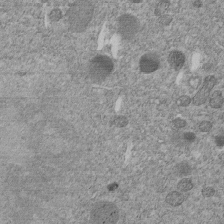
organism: C. elegans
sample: C. elegans embryo early stage